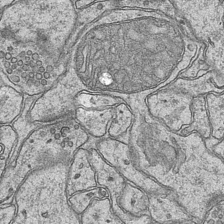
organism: Mouse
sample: CA1 Hippocampus